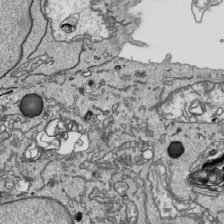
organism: Human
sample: Mitochondria in HCT116 cells